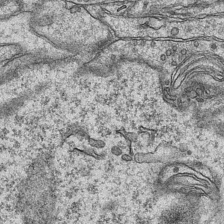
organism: Mouse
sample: CA1 Hippocampus